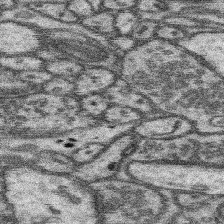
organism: Mouse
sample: Somatosensory cortex neuropil